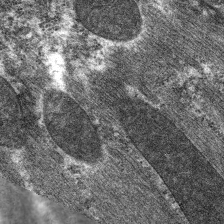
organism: C. elegans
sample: Pharynx